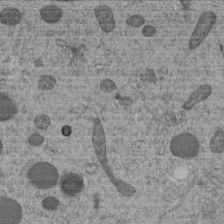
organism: C. elegans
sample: C. elegans embryo early stage